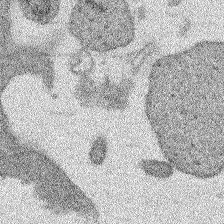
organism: Human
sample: HeLa cells